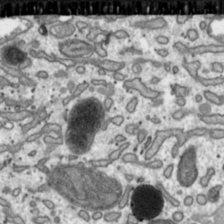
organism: Toxoplasma gondii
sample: Parasites in a vacuole inside a host cell